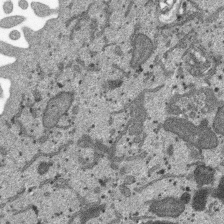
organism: Human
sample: Lung epithelial cells infected with SARS-CoV-2